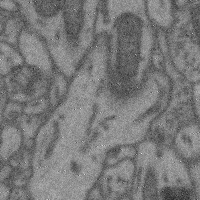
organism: Mouse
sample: Cerebral cortex